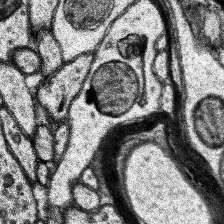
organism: Human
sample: Temporal Lobe